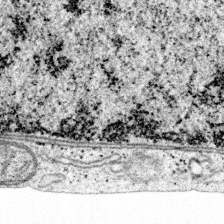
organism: Human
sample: HeLa cells